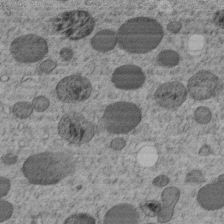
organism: C. elegans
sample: C. elegans embryo early stage